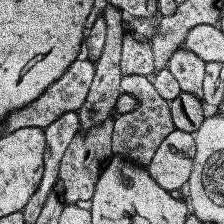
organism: Human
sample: Temporal Lobe